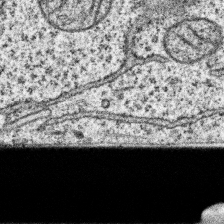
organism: Human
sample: HeLa cells